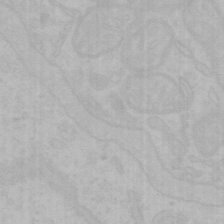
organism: Mouse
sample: Choroid plexus